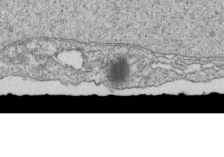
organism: Human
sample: HeLa cell HIV synapse